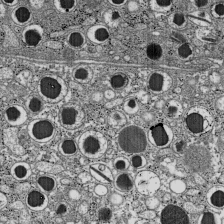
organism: C57BL Mouse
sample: Pancreatic islet